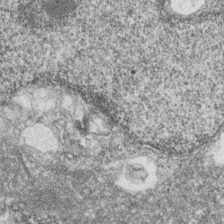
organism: Zebrafish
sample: Cilia; retinal pigment epithelium